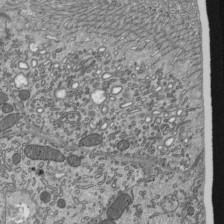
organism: Mouse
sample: Mouse epididymis efferent ductule cilia